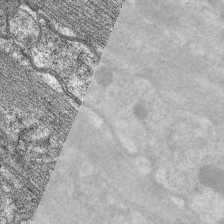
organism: C. elegans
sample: Pharynx